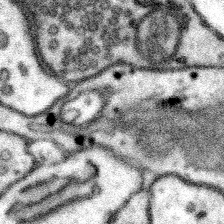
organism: Mouse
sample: Somatosensory cortex neuropil